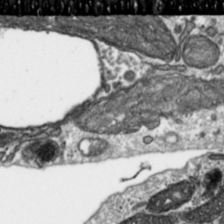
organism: Toxoplasma gondii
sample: Parasites in a vacuole inside a host cell